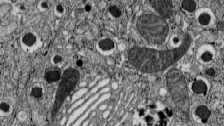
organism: C57BL Mouse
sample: Pancreatic islet